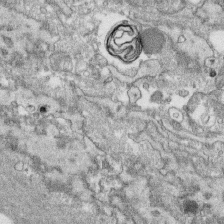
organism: Human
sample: CRL-1474